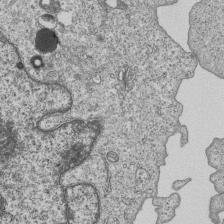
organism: Human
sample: MDA-MB-231 cells